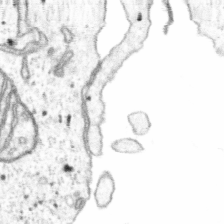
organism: Human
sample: HeLa cells